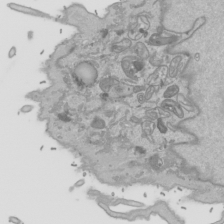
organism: Human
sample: Mitochondria in HCT116 cells